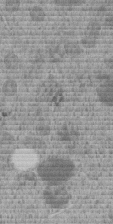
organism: C. elegans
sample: C. elegans embryo early stage